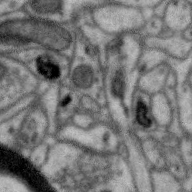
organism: Zebra finch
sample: Brain